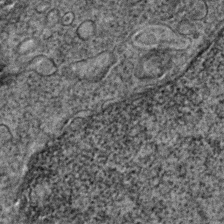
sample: Trachea